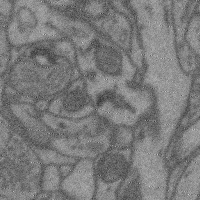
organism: Mouse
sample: Cerebral cortex